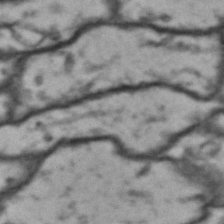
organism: Drosophila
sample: Brain